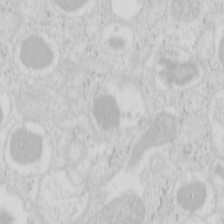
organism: Mouse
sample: Pancreas